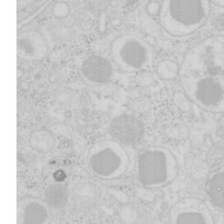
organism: Mouse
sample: Pancreas